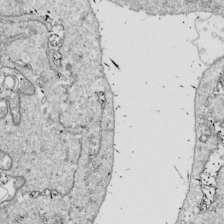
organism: Drosophila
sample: Cell division; meiosis; drosophila spermatocytes